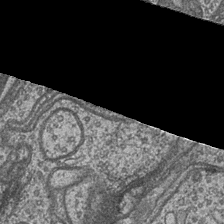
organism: Drosophila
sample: Optic medulla